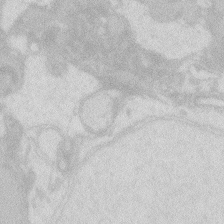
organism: Zebrafish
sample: Macrophage